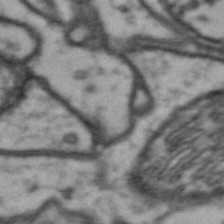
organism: Drosophila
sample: Brain